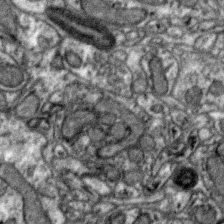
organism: Zebra finch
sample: Brain